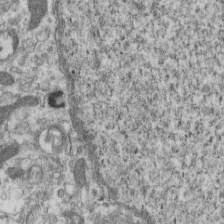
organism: Mouse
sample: Centriole in ependymal cells